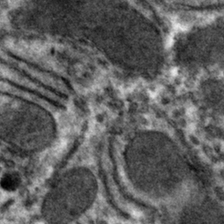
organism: Mouse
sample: Mouse hepatocytes